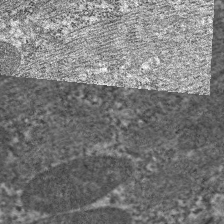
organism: C. elegans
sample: Pharynx